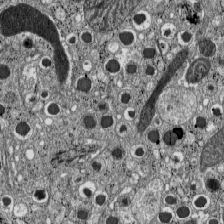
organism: C57BL Mouse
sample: Pancreatic islet